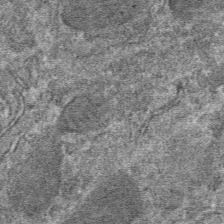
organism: Mouse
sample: Mouse hepatocytes